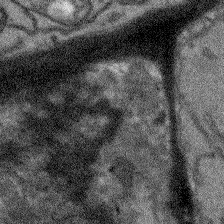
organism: Arabidopsis thaliana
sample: Root tip